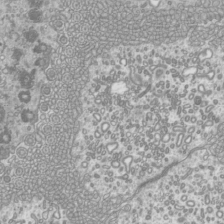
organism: Mouse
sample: Cilia; mouse epididymis